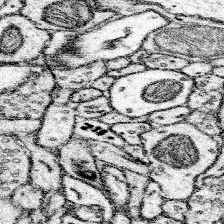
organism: Mouse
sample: Somatosensory cortex neuropil